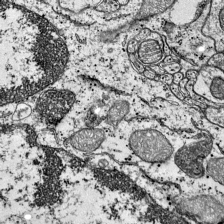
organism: Mouse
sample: Visual Cortex